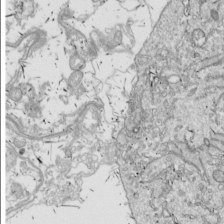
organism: Drosophila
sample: Cell division; meiosis; drosophila spermatocytes